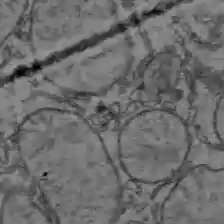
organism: C57BL Mouse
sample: Liver